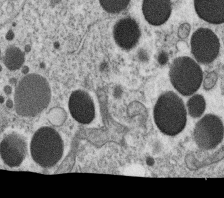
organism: C. elegans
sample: C. elegans oocyte; sperm cells